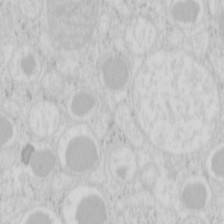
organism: Mouse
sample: Pancreas